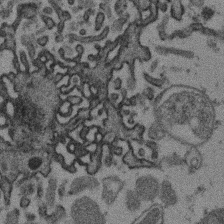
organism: Mouse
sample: Dividing mouse embryo 1 cell stage